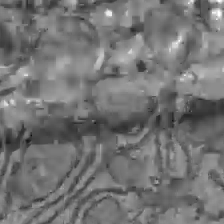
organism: C57BL Mouse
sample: Liver